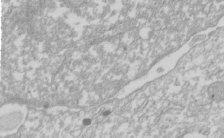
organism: Xenopus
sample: Cilia; centrioles in frog embryo cells